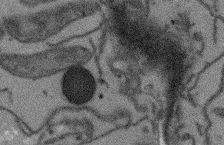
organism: Arabidopsis thaliana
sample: Root tip